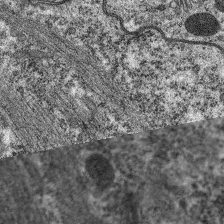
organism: C. elegans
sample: Pharynx